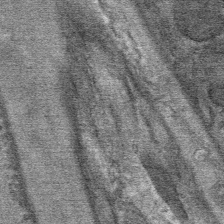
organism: Mouse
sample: Mouse Salivary gland